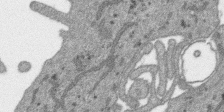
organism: Human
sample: Lung epithelial cells infected with SARS-CoV-2